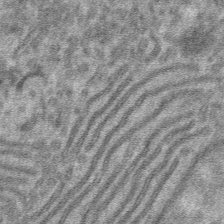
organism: Mouse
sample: Mouse hepatocytes